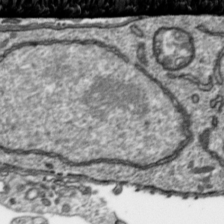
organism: Toxoplasma gondii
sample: Parasites in a vacuole inside a host cell